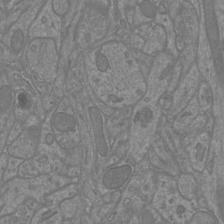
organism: Mouse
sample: Cortical neurons